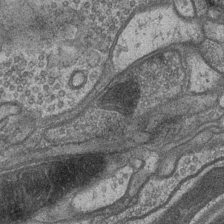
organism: Drosophila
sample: Optic medulla